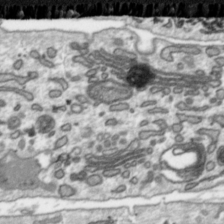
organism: Toxoplasma gondii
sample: Parasites in a vacuole inside a host cell